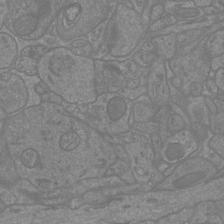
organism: Mouse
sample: Cortical neurons